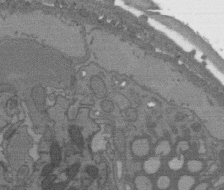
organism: C. elegans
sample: AFD neurons C. elegans